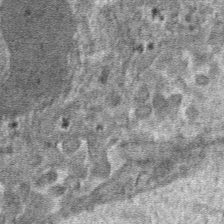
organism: Mouse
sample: Mouse hepatocytes